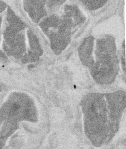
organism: Mouse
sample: T cell stromal cell synapse